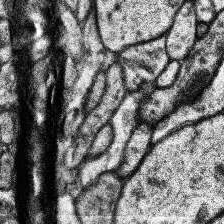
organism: Human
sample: Temporal Lobe